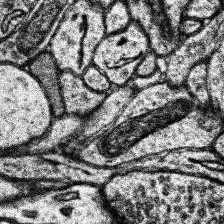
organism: Human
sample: Temporal Lobe